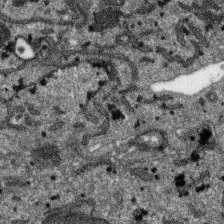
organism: Human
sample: Lung epithelial cells infected with SARS-CoV-2